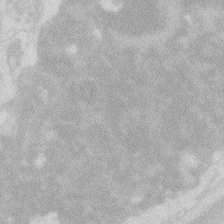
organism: Zebrafish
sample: Macrophage